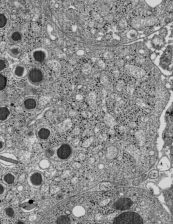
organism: C57BL Mouse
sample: Pancreatic islet